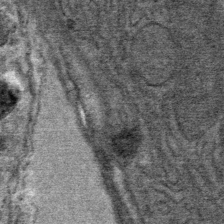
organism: Mouse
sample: Mouse Salivary gland